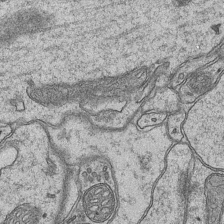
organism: Mouse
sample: CA1 Hippocampus